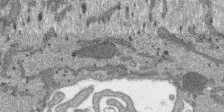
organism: Human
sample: Lung epithelial cells infected with SARS-CoV-2